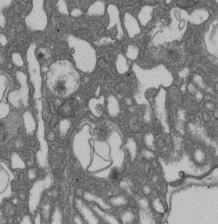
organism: Drosophila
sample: Nephrocyte